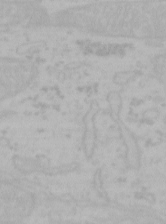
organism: Mouse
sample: Choroid plexus